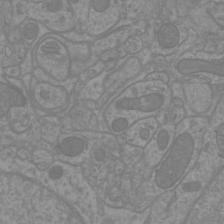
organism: Mouse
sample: Cortical neurons